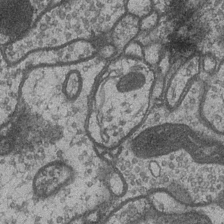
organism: Drosophila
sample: Optic medulla